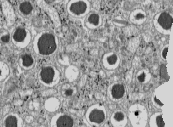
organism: C57BL Mouse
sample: Pancreatic islet